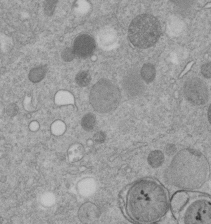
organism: C. elegans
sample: C. elegans embryo early stage